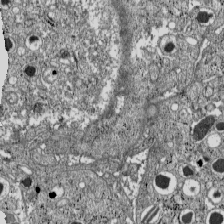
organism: C57BL Mouse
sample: Pancreatic islet